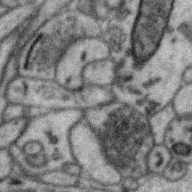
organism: Zebra finch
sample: Brain